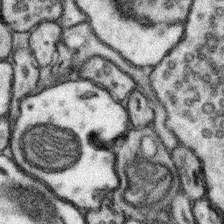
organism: Mouse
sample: Somatosensory cortex neuropil